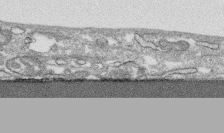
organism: Human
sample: CRL-1474